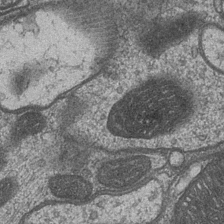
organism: Drosophila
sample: Optic medulla